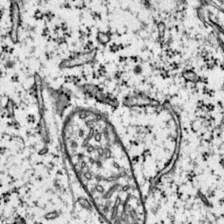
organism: Mouse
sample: Primary visual cortex